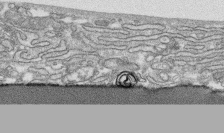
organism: Human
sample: CRL-1474